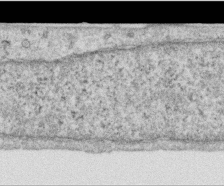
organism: Human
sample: Centriole in RPE cells